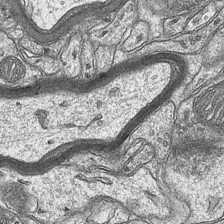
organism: Mouse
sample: CA1 Hippocampus